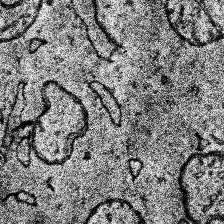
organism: Human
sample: Temporal Lobe